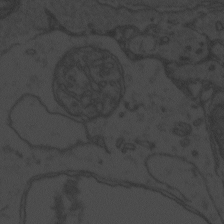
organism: Zebrafish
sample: Macrophage infected with Toxoplasma gondii